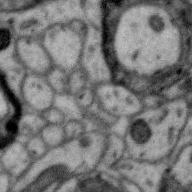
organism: Zebra finch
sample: Brain